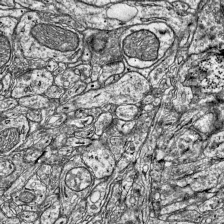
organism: Mouse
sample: Visual Cortex